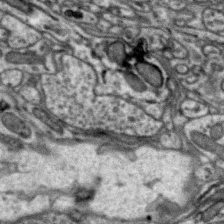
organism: Zebra finch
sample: Brain